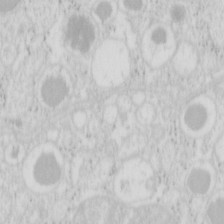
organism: Mouse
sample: Pancreas